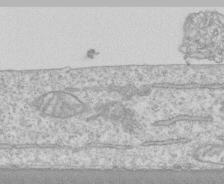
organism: Human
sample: CRL-1474